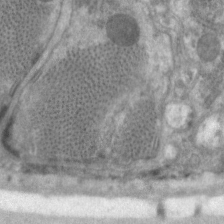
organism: C. elegans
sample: Pharynx